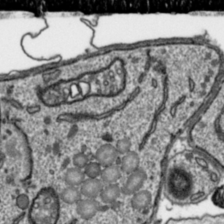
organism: Toxoplasma gondii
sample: Parasites in a vacuole inside a host cell